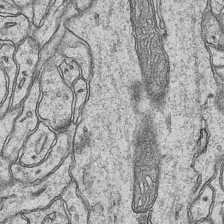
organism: Mouse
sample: CA1 Hippocampus